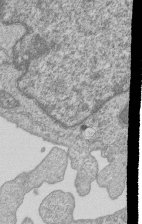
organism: Human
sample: MDA-MB-231 cells